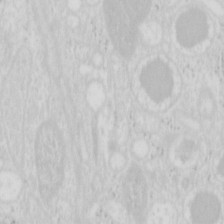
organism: Mouse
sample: Pancreas